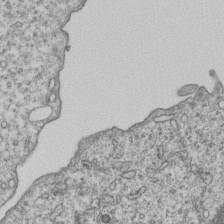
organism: Human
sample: MDA-MB-231 cells